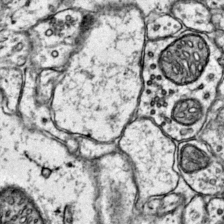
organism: Mouse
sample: Primary visual cortex